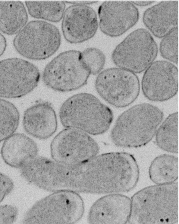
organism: E. coli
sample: Bacterial nucleoid